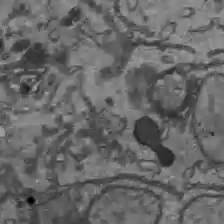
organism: C57BL Mouse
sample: Liver